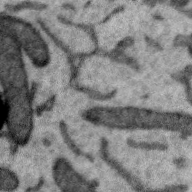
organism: Zebra finch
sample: Brain